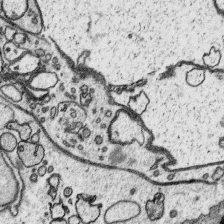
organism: Platynereis dumerilii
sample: Parapodia